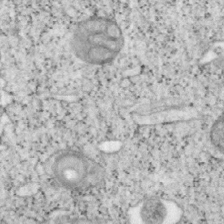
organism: Mouse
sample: OT-I killer T cells with ID8 ovarian cancer cells